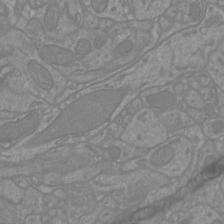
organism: Mouse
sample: Cortical neurons